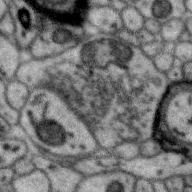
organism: Zebra finch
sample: Brain